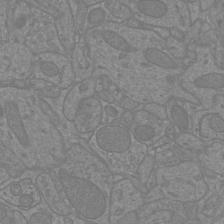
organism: Mouse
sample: Cortical neurons